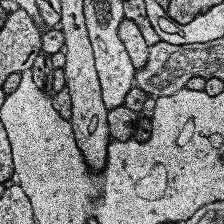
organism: Human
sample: Temporal Lobe